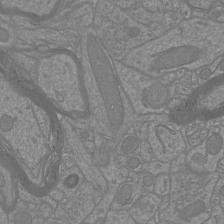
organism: Mouse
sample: Cortical neurons